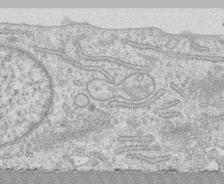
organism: Human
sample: CRL-1474